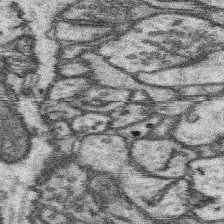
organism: Mouse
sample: Somatosensory cortex neuropil